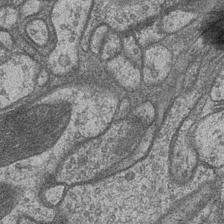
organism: Drosophila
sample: Optic medulla